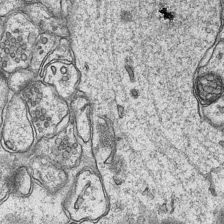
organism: Mouse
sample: CA1 Hippocampus